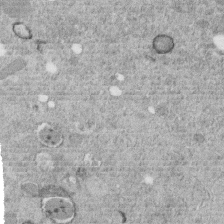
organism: C. elegans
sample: C. elegans embryo early stage